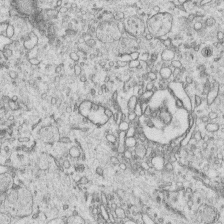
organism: Human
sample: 1205lu cells